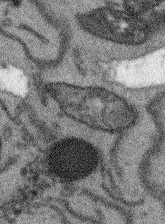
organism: Arabidopsis thaliana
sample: Root tip